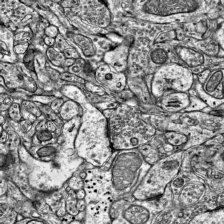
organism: Mouse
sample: Visual Cortex